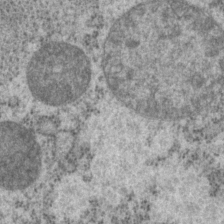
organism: P. pacificus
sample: Pharynx